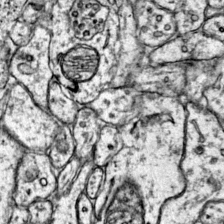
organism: Mouse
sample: Primary visual cortex